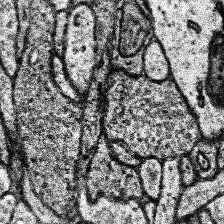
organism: Human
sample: Temporal Lobe